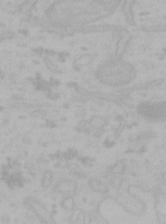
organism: Mouse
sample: Choroid plexus